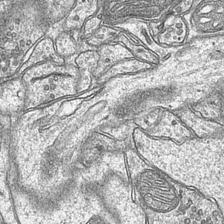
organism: Mouse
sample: CA1 Hippocampus